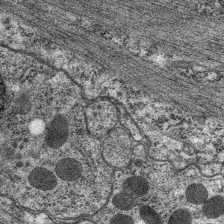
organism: C. elegans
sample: Pharynx